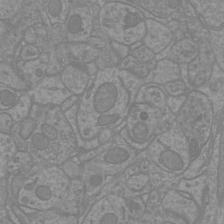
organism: Mouse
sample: Cortical neurons